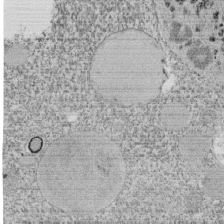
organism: Tetrahymena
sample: Cilia in tetrahymena